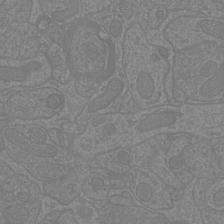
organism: Mouse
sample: Cortical neurons